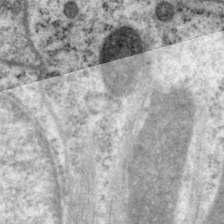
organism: P. pacificus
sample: Pharynx